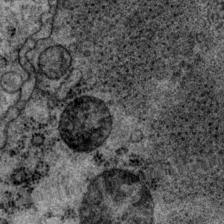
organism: P. pacificus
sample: Pharynx